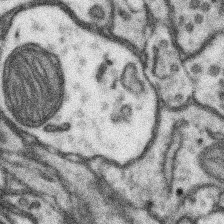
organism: Mouse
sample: Somatosensory cortex neuropil